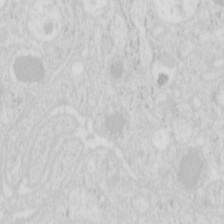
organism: Mouse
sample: Pancreas